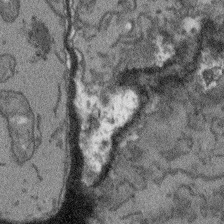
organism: Arabidopsis thaliana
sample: Root tip